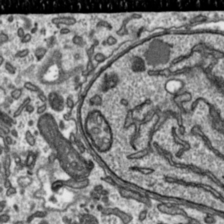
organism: Toxoplasma gondii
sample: Parasites in a vacuole inside a host cell